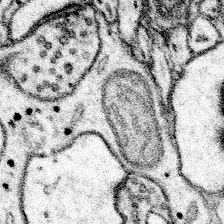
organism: Mouse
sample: Somatosensory cortex neuropil